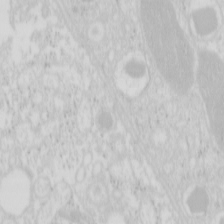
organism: Mouse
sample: Pancreas